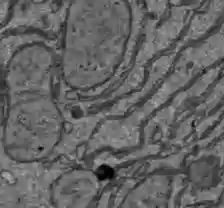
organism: C57BL Mouse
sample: Liver